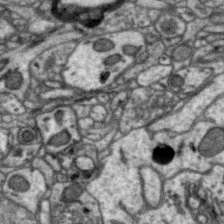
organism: Zebra finch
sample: Brain